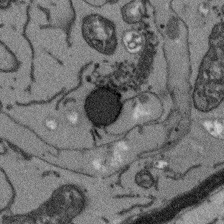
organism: Arabidopsis thaliana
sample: Root tip